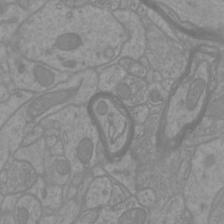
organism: Mouse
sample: Cortical neurons